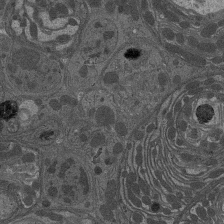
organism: Drosophila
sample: Antenna